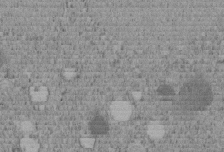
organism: C. elegans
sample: C. elegans embryo early stage